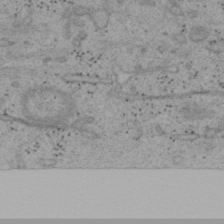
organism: Human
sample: HeLa cells